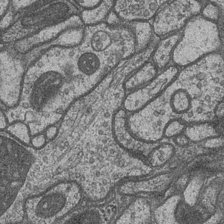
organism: Drosophila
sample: Optic medulla